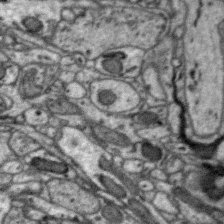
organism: Zebra finch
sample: Brain